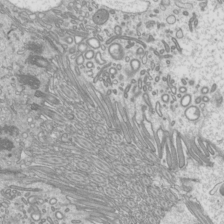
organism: Mouse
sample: Cilia; mouse epididymis